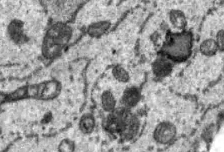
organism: Human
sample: HeLa cells